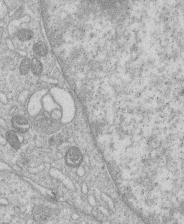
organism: Human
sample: Macrophage cells